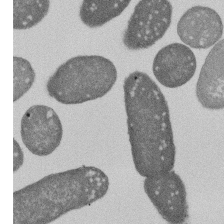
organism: E. coli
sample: Bacterial nucleoid